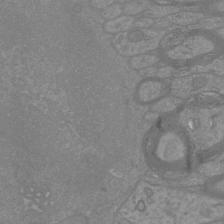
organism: Mouse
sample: Cortical neurons